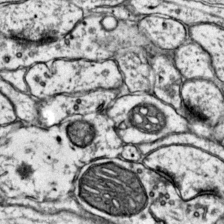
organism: Mouse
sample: Primary visual cortex